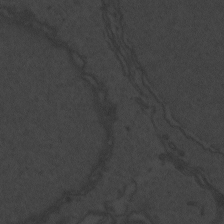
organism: Zebrafish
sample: Macrophage infected with Toxoplasma gondii